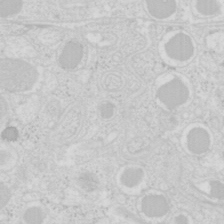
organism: Mouse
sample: Pancreas